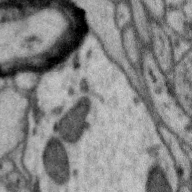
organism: Zebra finch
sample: Brain